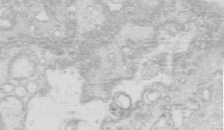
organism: Mouse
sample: Multiciliated cells